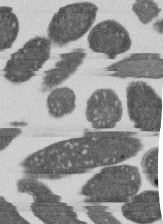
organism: E. coli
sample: Bacterial nucleoid